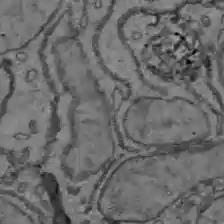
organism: C57BL Mouse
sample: Liver